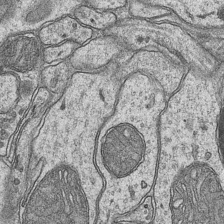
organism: Mouse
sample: CA1 Hippocampus